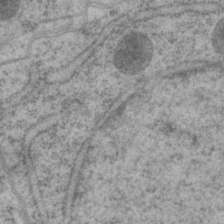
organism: P. pacificus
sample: Pharynx